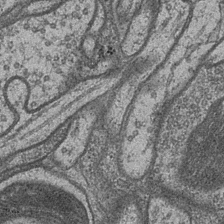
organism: Drosophila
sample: Optic medulla